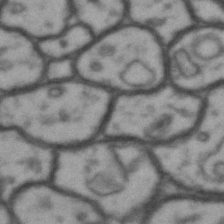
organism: Drosophila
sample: Brain